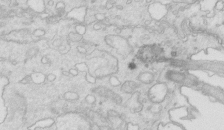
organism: Mouse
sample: Multiciliated cells